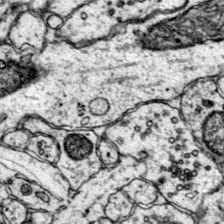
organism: Mouse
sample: Primary visual cortex